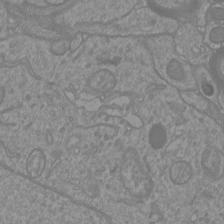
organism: Mouse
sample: Cortical neurons